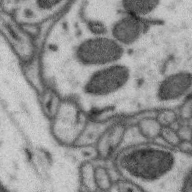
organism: Zebra finch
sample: Brain